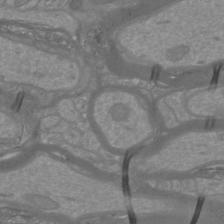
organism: Mouse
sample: Cortical neurons